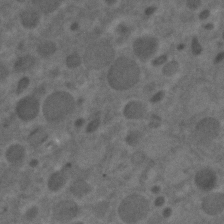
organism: C. elegans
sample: C. elegans embryo